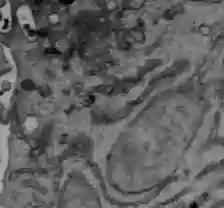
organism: C57BL Mouse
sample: Liver